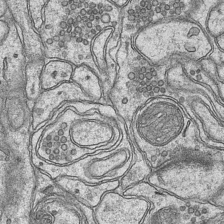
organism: Mouse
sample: CA1 Hippocampus